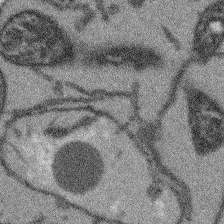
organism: Arabidopsis thaliana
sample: Root tip